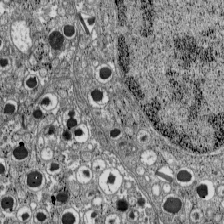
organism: C57BL Mouse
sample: Pancreatic islet